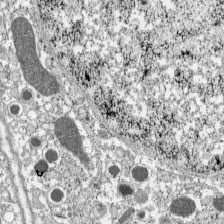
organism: C57BL Mouse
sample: Pancreatic islet